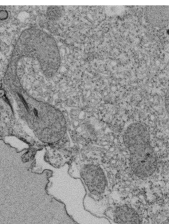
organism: Tetrahymena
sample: Cilia in tetrahymena